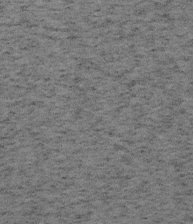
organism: Mouse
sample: OT-I killer T cells with ID8 ovarian cancer cells